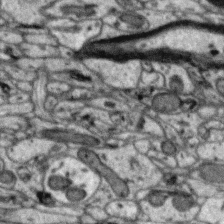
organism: Zebra finch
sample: Brain